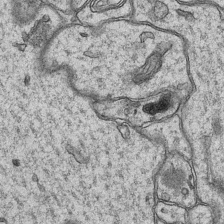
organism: Mouse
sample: CA1 Hippocampus